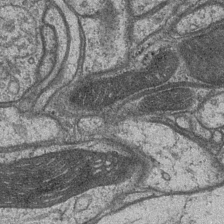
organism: Drosophila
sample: Optic medulla